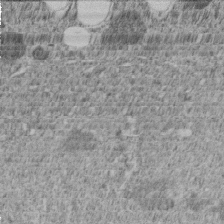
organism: C. elegans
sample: C. elegans embryo early stage